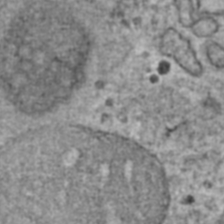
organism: Human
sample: Blood